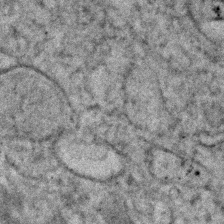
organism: Human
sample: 1205lu cells